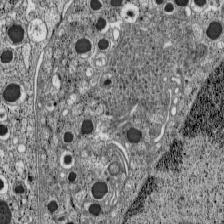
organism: C57BL Mouse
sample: Pancreatic islet